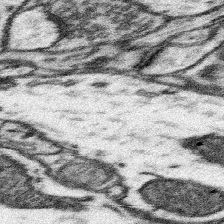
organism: Mouse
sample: Somatosensory cortex neuropil